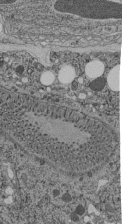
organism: C. elegans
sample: C. elegans pharynx